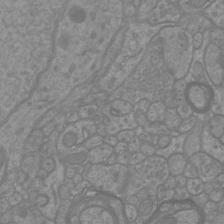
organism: Mouse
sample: Cortical neurons